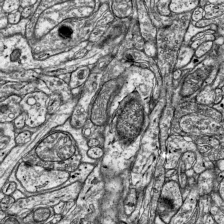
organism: Mouse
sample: Visual Cortex